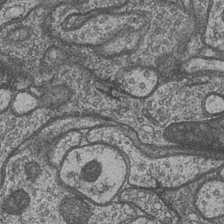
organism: Drosophila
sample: Optic medulla